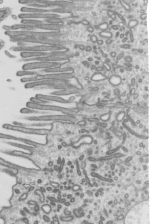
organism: Mouse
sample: Mouse epididymis efferent ductule cilia